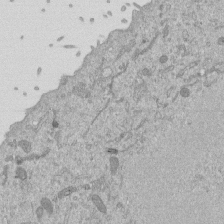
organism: Mouse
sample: ED-1 cell nuclei; centrioles